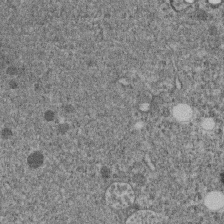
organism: C. elegans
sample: C. elegans embryo early stage